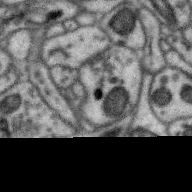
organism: Zebra finch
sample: Brain